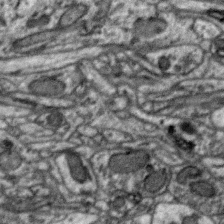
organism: Zebra finch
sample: Brain